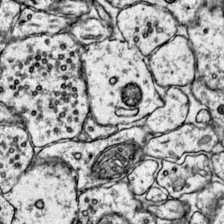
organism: Mouse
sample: Primary visual cortex